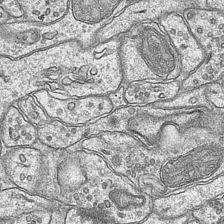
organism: Mouse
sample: CA1 Hippocampus